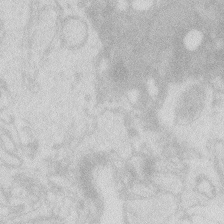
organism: Zebrafish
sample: Macrophage